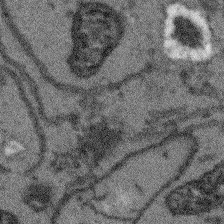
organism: Arabidopsis thaliana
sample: Root tip